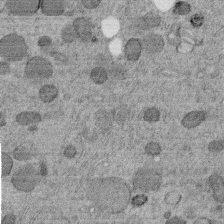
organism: C. elegans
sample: C. elegans embryo early stage